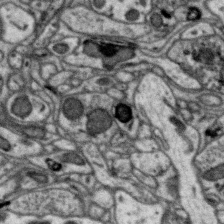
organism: Zebra finch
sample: Brain